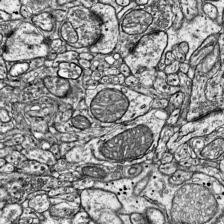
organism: Mouse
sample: Visual Cortex